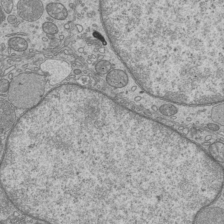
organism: Mouse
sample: Cilia; mouse epididymis